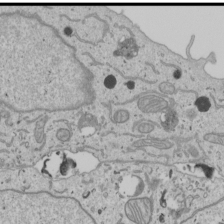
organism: Human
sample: Mitochondria in U2OS cells